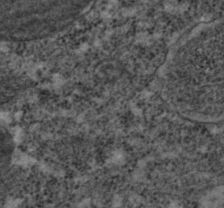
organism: C. elegans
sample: C. elegans embryo